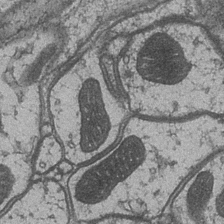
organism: Drosophila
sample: Optic medulla